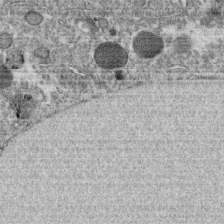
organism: C. elegans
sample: C. elegans oocyte; sperm cells